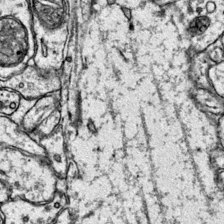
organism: Mouse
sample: Primary visual cortex